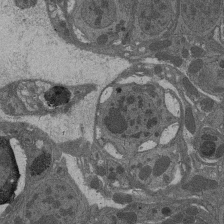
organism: Drosophila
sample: Antenna